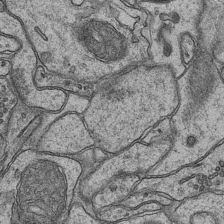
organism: Mouse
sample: CA1 Hippocampus